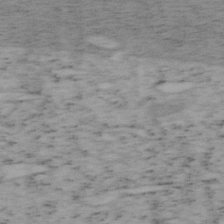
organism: Mouse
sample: OT-I killer T cells with ID8 ovarian cancer cells